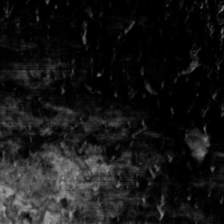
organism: Toxoplasma gondii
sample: Parasites in a vacuole inside a host cell